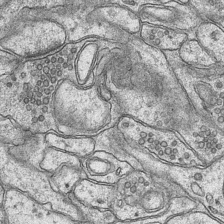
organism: Mouse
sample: CA1 Hippocampus